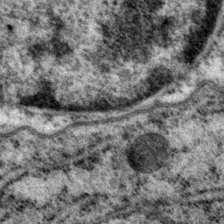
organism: P. pacificus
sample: Pharynx